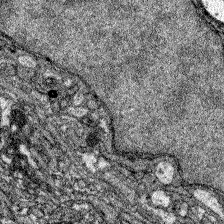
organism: Zebrafish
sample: Larval olfactory bulb